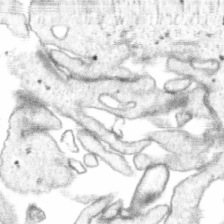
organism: Human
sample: HeLa cells